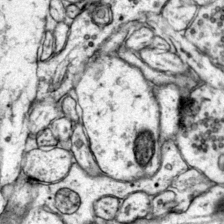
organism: Mouse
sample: Primary visual cortex